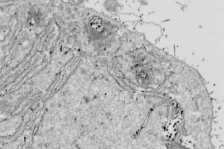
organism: Drosophila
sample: Cell division; meiosis; drosophila spermatocytes